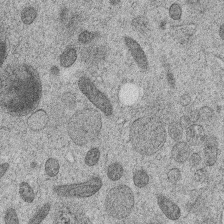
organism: C. elegans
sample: C. elegans embryo early stage